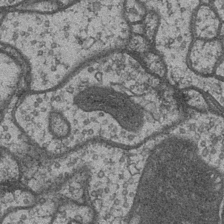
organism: Drosophila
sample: Optic medulla